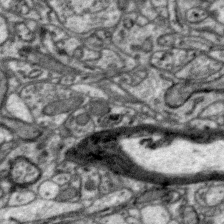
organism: Zebra finch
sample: Brain